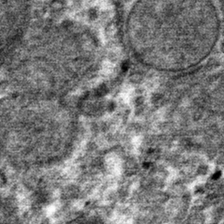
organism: Mouse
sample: Mouse hepatocytes